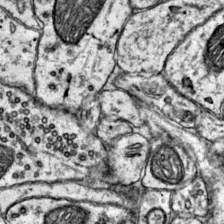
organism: Mouse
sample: Primary visual cortex